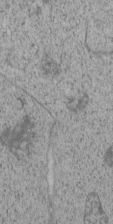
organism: C. elegans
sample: C. elegans embryo early stage